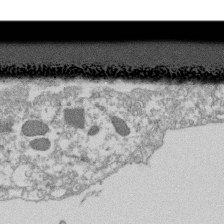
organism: Dictyostelium discoideum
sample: Dictyostelium multivesicular bodies